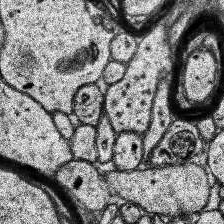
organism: Human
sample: Temporal Lobe